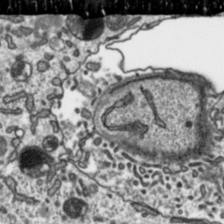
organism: Toxoplasma gondii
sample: Parasites in a vacuole inside a host cell